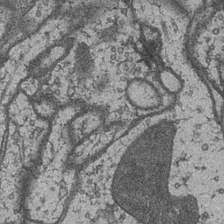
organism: Drosophila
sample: Optic medulla